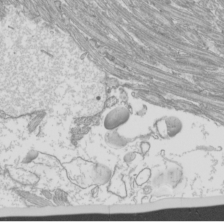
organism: Mouse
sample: Cilia; mouse epididymis